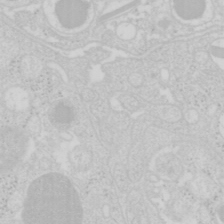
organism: Mouse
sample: Pancreas